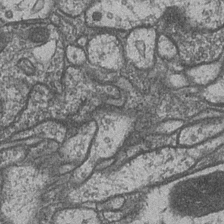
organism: Drosophila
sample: Optic medulla